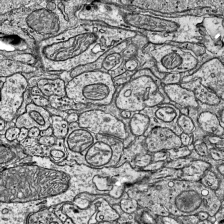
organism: Mouse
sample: Visual Cortex